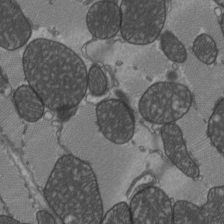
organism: C57BL Mouse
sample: Heart